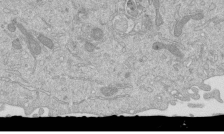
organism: Mouse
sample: ED-1 cell nuclei; centrioles